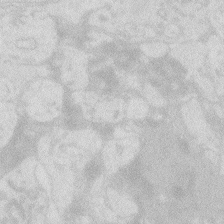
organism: Zebrafish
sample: Macrophage